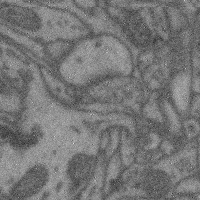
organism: Mouse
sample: Cerebral cortex